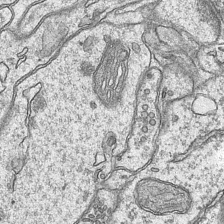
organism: Mouse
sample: CA1 Hippocampus